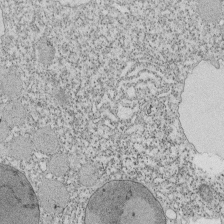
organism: Tetrahymena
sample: Cilia in tetrahymena